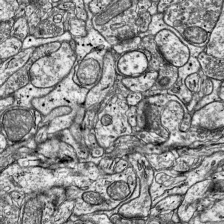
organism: Mouse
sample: Visual Cortex